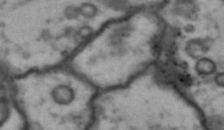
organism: Drosophila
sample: Brain